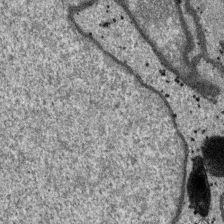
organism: Human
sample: Lung epithelial cells, uninfected (mock) control